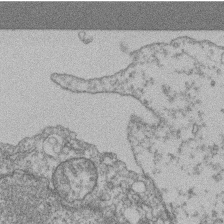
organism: Mouse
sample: T cell stromal cell synapse